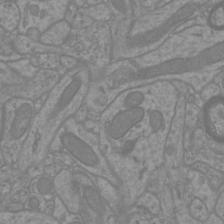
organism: Mouse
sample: Cortical neurons